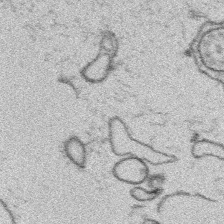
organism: Platynereis dumerilii